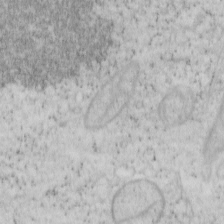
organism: Human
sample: HeLa cells